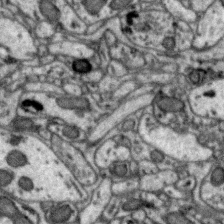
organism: Zebra finch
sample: Brain